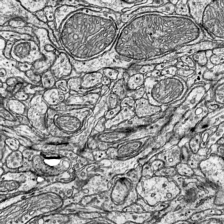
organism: Mouse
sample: Visual Cortex